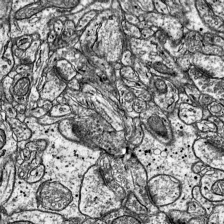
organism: Mouse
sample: Visual Cortex